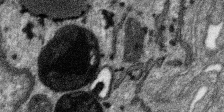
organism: Human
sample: Lung epithelial cells infected with SARS-CoV-2